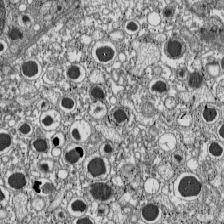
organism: C57BL Mouse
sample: Pancreatic islet